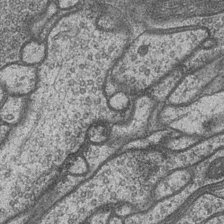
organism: Drosophila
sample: Optic medulla